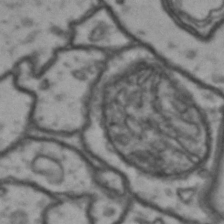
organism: Drosophila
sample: Brain